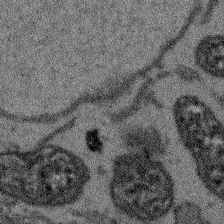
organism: Arabidopsis thaliana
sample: Root tip